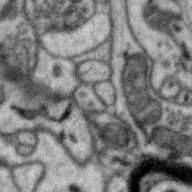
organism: Zebra finch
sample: Brain